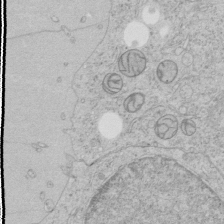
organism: Human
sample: Mitochondria in HCT116 cells